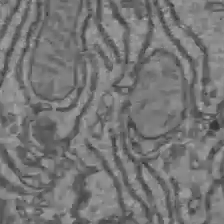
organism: C57BL Mouse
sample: Liver